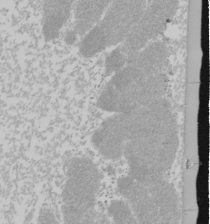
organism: Mouse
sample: Cancer cell death in ED-1 cells